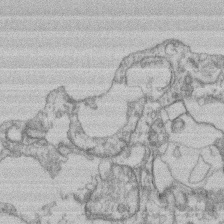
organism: Mouse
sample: T cell stromal cell synapse